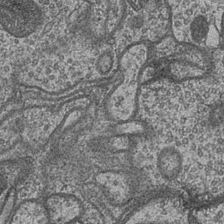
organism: Drosophila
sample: Optic medulla